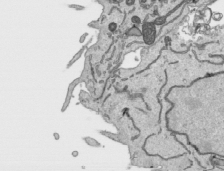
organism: Human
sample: Mitochondria in HCT116 cells